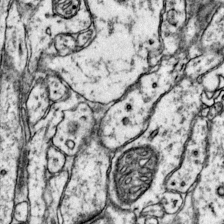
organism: Mouse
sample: Primary visual cortex